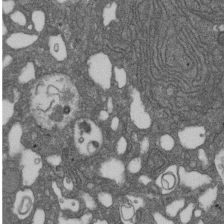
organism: Drosophila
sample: Nephrocyte